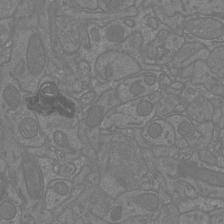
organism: Mouse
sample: Cortical neurons